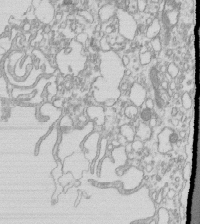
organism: Mouse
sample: Macrophages